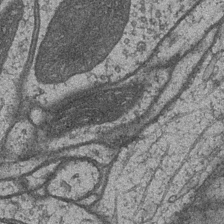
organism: Drosophila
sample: Optic medulla